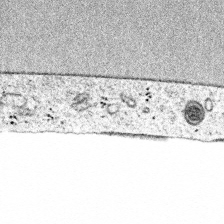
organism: Human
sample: HeLa cells